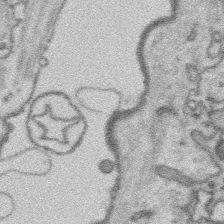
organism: Platynereis dumerilii